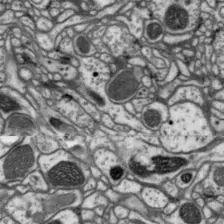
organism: Drosophila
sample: Protocerebral bridge